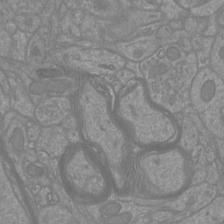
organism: Mouse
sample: Cortical neurons